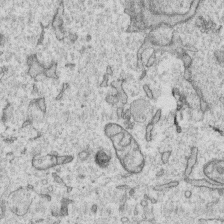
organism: Human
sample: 1205lu cells